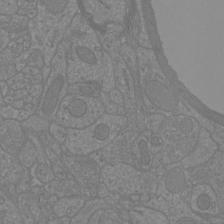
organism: Mouse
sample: Cortical neurons